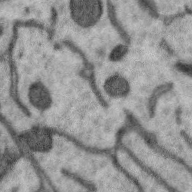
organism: Zebra finch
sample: Brain